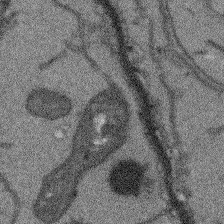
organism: Arabidopsis thaliana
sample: Root tip